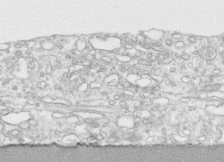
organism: Human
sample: CRL-1474